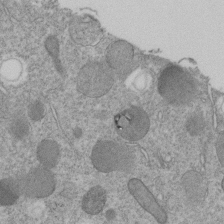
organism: C. elegans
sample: C. elegans embryo early stage